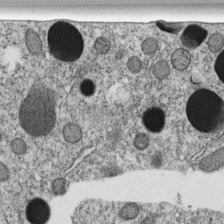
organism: C. elegans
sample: C. elegans embryo early stage